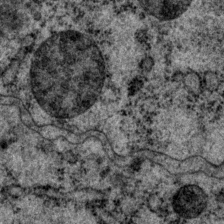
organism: P. pacificus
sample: Pharynx